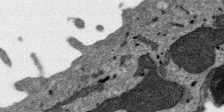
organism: Human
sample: Lung epithelial cells, uninfected (mock) control